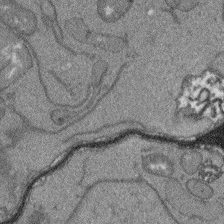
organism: Arabidopsis thaliana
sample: Root tip